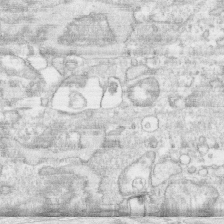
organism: Human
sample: CRL-1474